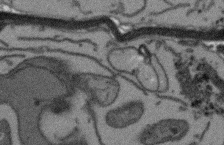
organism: Arabidopsis thaliana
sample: Root tip